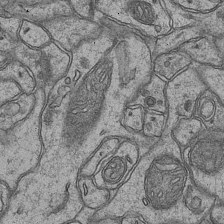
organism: Mouse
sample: CA1 Hippocampus